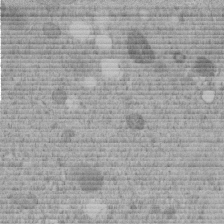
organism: C. elegans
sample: C. elegans embryo early stage